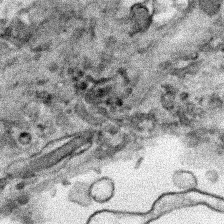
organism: Human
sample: Mitochondria in HCT116 cells